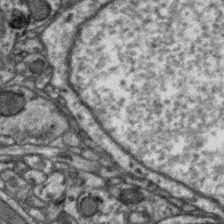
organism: Zebra finch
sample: Brain